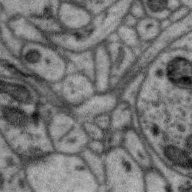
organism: Zebra finch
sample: Brain